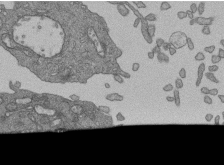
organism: Human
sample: Retinal organoid Rod and Cone cells